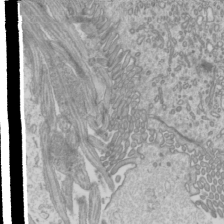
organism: Mouse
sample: Cilia; mouse epididymis